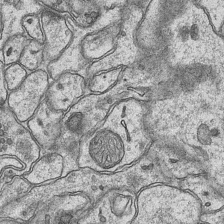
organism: Mouse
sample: CA1 Hippocampus